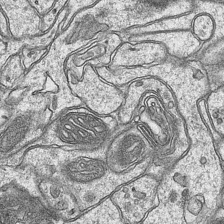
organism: Mouse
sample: CA1 Hippocampus